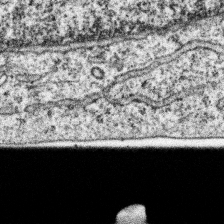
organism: Human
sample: HeLa cells